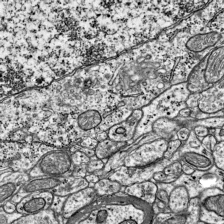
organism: Mouse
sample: Visual Cortex